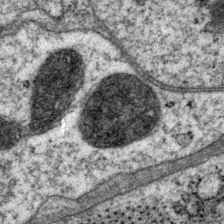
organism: P. pacificus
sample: Pharynx